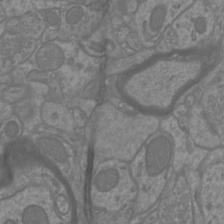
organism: Mouse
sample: Cortical neurons